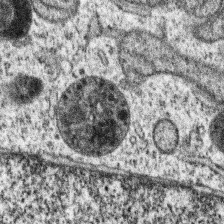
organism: Human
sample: HeLa cells